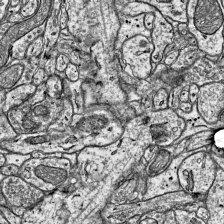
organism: Mouse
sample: Visual Cortex